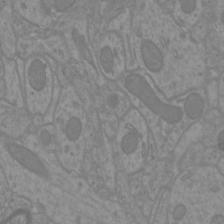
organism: Mouse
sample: Cortical neurons